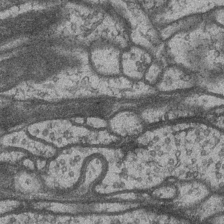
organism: Drosophila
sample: Optic medulla